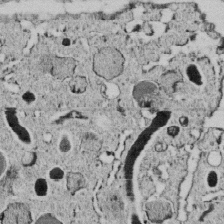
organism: C. elegans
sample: C. elegans embryo early stage